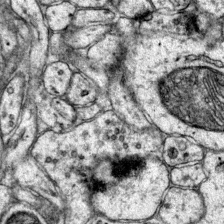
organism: Mouse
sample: Primary visual cortex